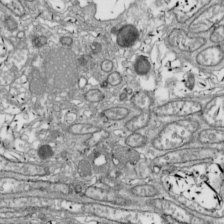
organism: Drosophila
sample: Cell division; meiosis; drosophila spermatocytes